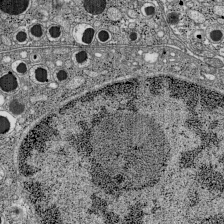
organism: C57BL Mouse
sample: Pancreatic islet